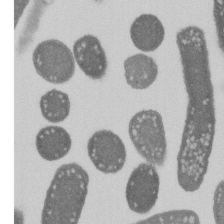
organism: E. coli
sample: Bacterial nucleoid